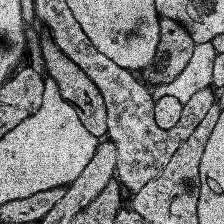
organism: Human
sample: Temporal Lobe